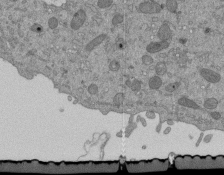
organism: Mouse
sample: ED-1 cell nuclei; centrioles